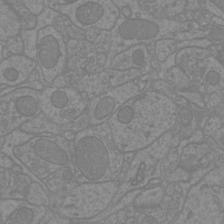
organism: Mouse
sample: Cortical neurons